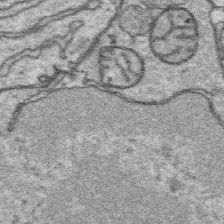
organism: Platynereis dumerilii